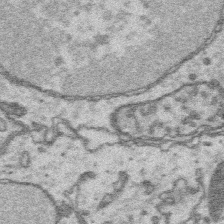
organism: Platynereis dumerilii